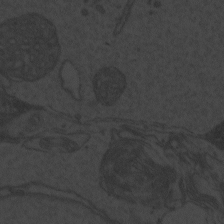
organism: Zebrafish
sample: Macrophage infected with Toxoplasma gondii